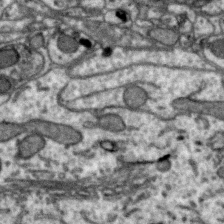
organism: Zebra finch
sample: Brain